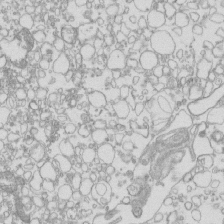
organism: Mouse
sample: Macrophages